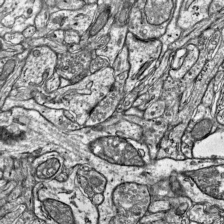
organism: Mouse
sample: Visual Cortex